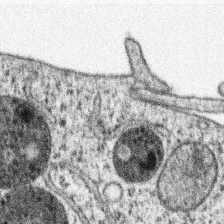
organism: Human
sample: HeLa cells